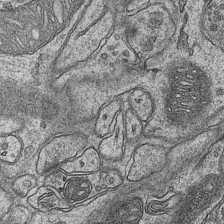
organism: Mouse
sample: CA1 Hippocampus